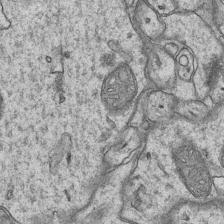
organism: Mouse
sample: CA1 Hippocampus